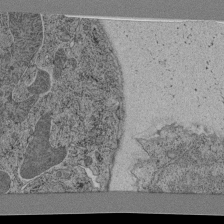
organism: C. elegans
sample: C. elegans pharynx